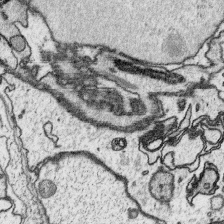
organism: Platynereis dumerilii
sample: Parapodia